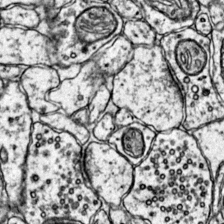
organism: Mouse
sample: Primary visual cortex